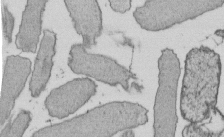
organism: E. coli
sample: Bacterial nucleoid